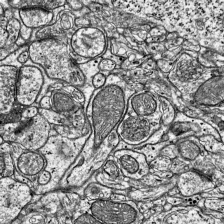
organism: Mouse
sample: Visual Cortex